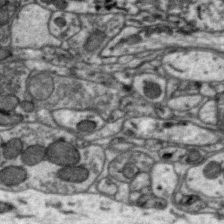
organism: Zebra finch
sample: Brain